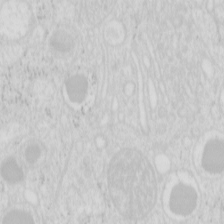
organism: Mouse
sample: Pancreas